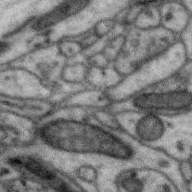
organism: Zebra finch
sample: Brain